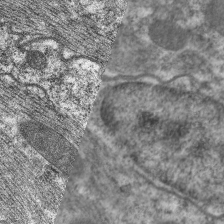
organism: C. elegans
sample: Pharynx